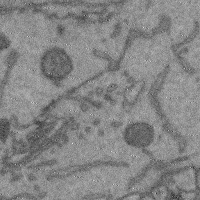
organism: Mouse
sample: Cerebral cortex